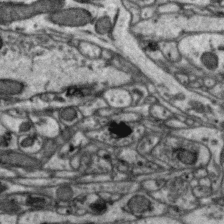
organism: Zebra finch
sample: Brain